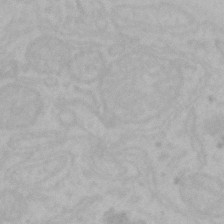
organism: Mouse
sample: Choroid plexus